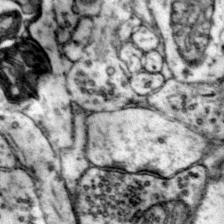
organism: Mouse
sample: Primary visual cortex